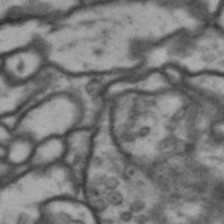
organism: Drosophila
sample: Brain